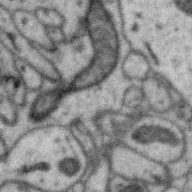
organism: Zebra finch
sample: Brain